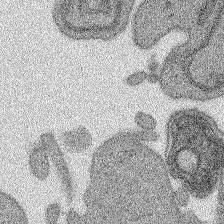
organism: Human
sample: HeLa cells